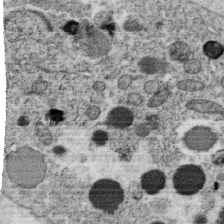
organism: C. elegans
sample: C. elegans oocyte; sperm cells